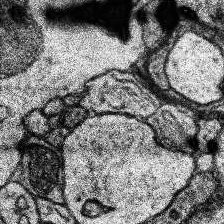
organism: Human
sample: Temporal Lobe